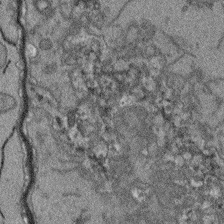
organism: Arabidopsis thaliana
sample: Root tip